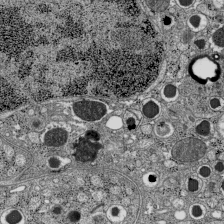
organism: C57BL Mouse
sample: Pancreatic islet